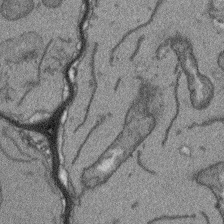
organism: Arabidopsis thaliana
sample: Root tip